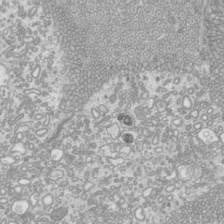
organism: Mouse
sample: Cilia; mouse epididymis